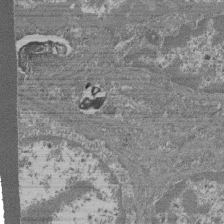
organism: Mouse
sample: Glomerulus